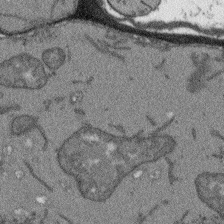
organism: Arabidopsis thaliana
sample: Root tip